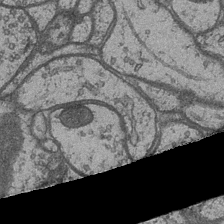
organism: Drosophila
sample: Optic medulla